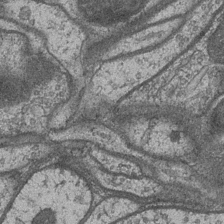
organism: Drosophila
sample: Optic medulla